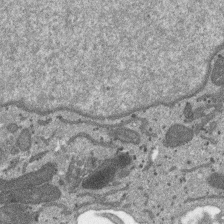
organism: Human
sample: Lung epithelial cells infected with SARS-CoV-2